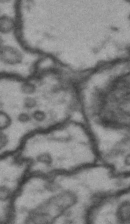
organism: Drosophila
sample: Brain